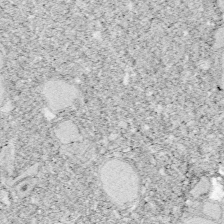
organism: Zebrafish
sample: Whole-Brain